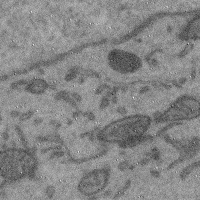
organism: Mouse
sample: Cerebral cortex